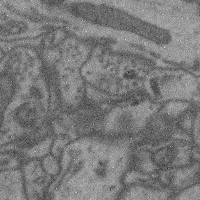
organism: Mouse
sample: Cerebral cortex